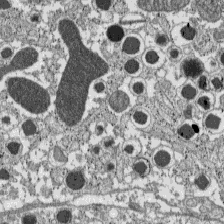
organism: C57BL Mouse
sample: Pancreatic islet